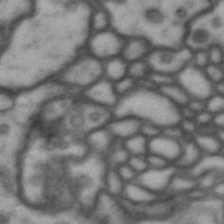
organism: Drosophila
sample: Brain